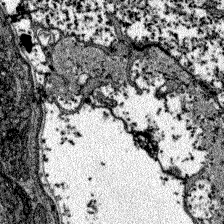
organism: Zebrafish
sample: Larval olfactory bulb